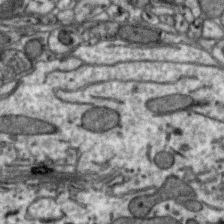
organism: Zebra finch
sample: Brain